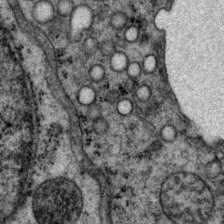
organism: P. pacificus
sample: Pharynx